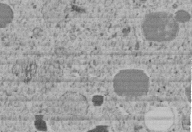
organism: C. elegans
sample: C. elegans embryo early stage